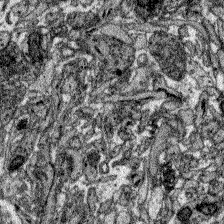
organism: Zebrafish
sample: Larval olfactory bulb